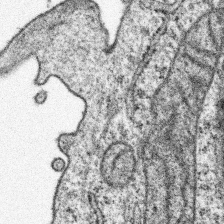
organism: Human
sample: HeLa cells